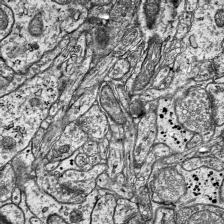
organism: Mouse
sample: Visual Cortex